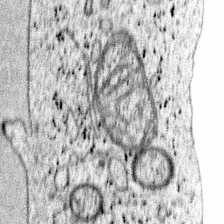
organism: Human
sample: HeLa cells